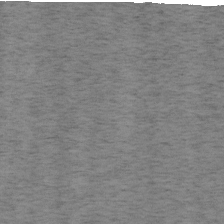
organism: Mouse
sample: OT-I killer T cells with ID8 ovarian cancer cells